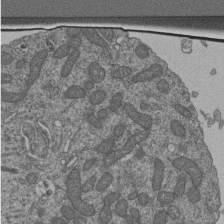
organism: Human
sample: Retinal organoid Rod and Cone cells